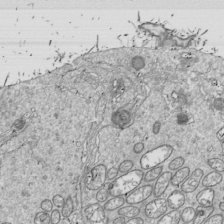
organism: Drosophila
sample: Cell division; meiosis; drosophila spermatocytes